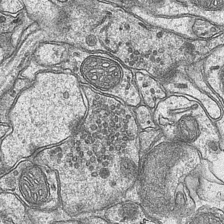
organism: Mouse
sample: CA1 Hippocampus